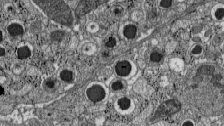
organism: C57BL Mouse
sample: Pancreatic islet